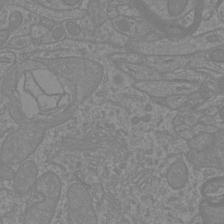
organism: Mouse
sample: Cortical neurons